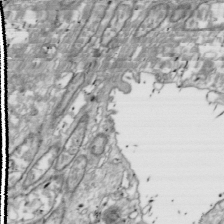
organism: Drosophila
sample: Cell division; meiosis; drosophila spermatocytes